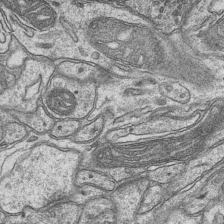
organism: Mouse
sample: CA1 Hippocampus